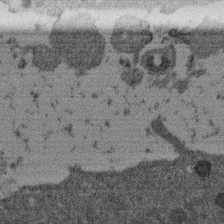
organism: Mouse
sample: Dividing mouse embryo 1 cell stage